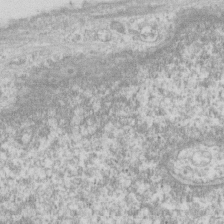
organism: Human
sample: Fibroblast cells